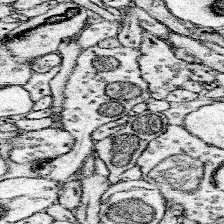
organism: Mouse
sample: Somatosensory cortex neuropil